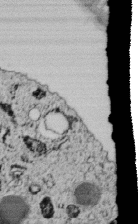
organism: C. elegans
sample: C. elegans embryo early stage